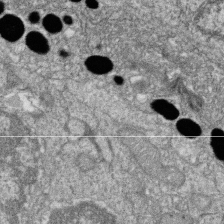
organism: Zebrafish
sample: Cilia; retinal pigment epithelium